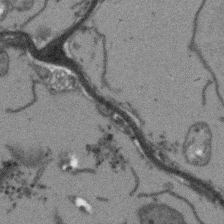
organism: Arabidopsis thaliana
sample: Root tip